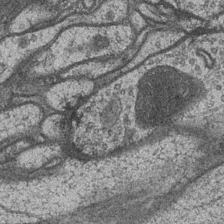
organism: Drosophila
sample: Optic medulla